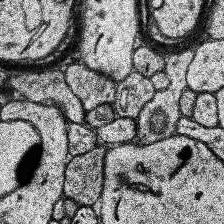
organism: Human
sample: Temporal Lobe